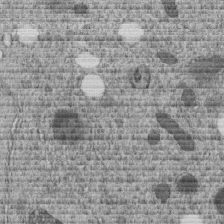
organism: C. elegans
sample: C. elegans embryo early stage